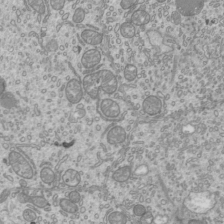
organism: Mouse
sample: Cilia; mouse epididymis